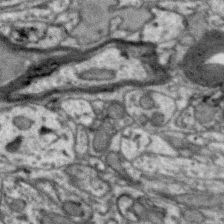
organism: Zebra finch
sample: Brain